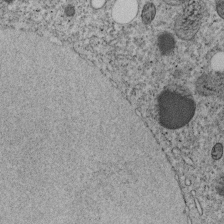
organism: C. elegans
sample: C. elegans embryo early stage